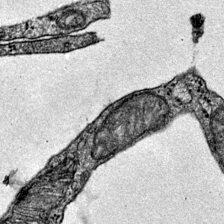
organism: Mouse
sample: Primary visual cortex